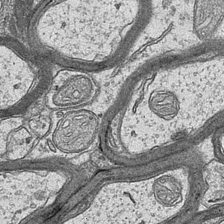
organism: Mouse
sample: CA1 Hippocampus